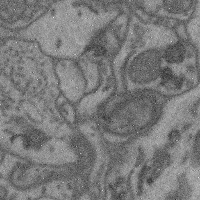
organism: Mouse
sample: Cerebral cortex